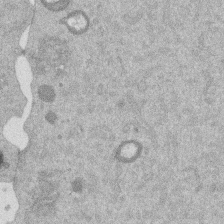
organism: Mouse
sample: Dividing mouse embryo 1 cell stage